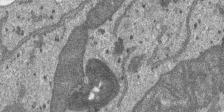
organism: Human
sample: Lung epithelial cells infected with SARS-CoV-2